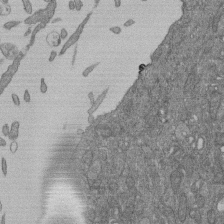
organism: Human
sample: Retinal organoid Rod and Cone cells